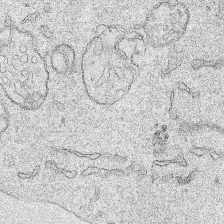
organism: Human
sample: Mitochondria in HCT116 cells